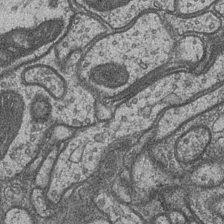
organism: Drosophila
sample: Optic medulla